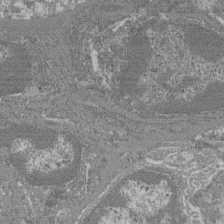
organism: Mouse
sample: Glomerulus